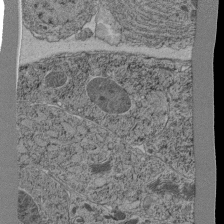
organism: C. elegans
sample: C. elegans pharynx